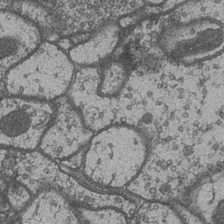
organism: Drosophila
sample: Optic medulla